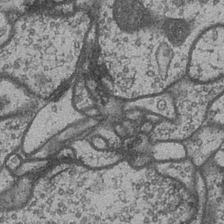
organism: Drosophila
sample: Optic medulla